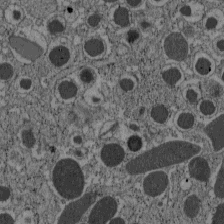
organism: C57BL Mouse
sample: Pancreatic islet